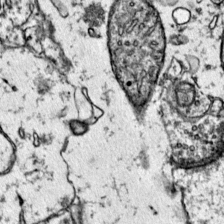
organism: Mouse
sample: Primary visual cortex